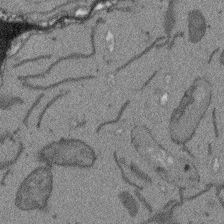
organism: Arabidopsis thaliana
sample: Root tip